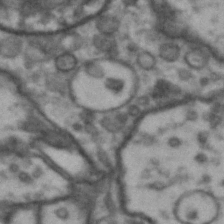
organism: Drosophila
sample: Brain